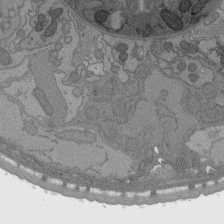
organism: C. elegans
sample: AFD neurons C. elegans